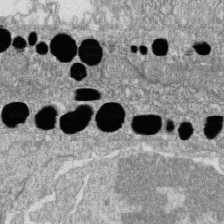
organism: Zebrafish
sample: Cilia; retinal pigment epithelium